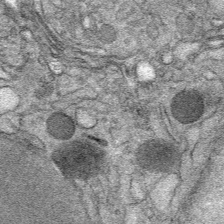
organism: Mouse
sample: Mouse Salivary gland